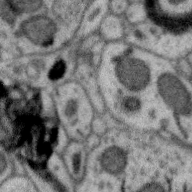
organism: Zebra finch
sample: Brain